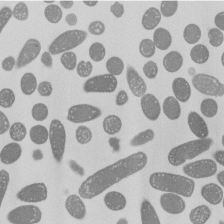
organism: E. coli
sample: Bacterial nucleoid